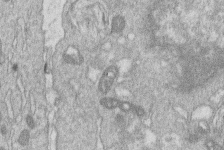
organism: Human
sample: Macrophage cells